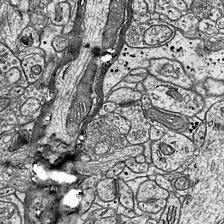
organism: Mouse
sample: Visual Cortex